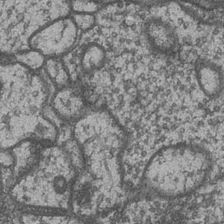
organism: Drosophila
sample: Optic medulla